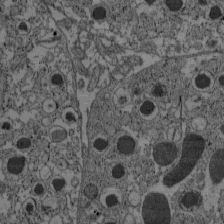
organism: C57BL Mouse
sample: Pancreatic islet